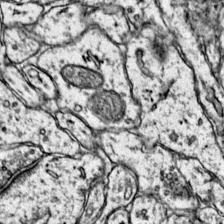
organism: Mouse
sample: Primary visual cortex